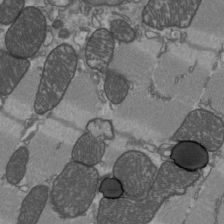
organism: C57BL Mouse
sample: Heart